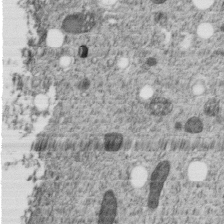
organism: C. elegans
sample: C. elegans embryo early stage